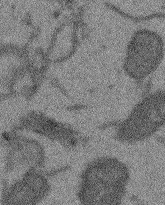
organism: Arabidopsis thaliana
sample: Root tip